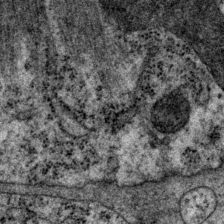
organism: P. pacificus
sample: Pharynx